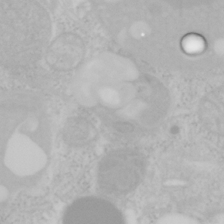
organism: Mouse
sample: OT-I killer T cells with ID8 ovarian cancer cells